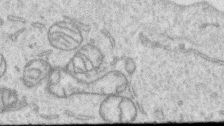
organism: Human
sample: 1205lu cells